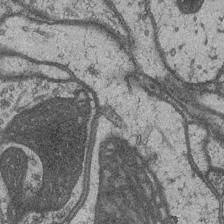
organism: Drosophila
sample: Optic medulla